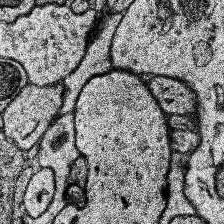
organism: Human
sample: Temporal Lobe